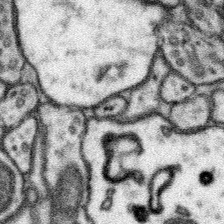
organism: Mouse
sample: Somatosensory cortex neuropil